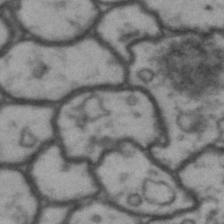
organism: Drosophila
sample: Brain